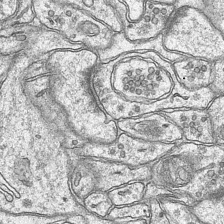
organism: Mouse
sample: CA1 Hippocampus